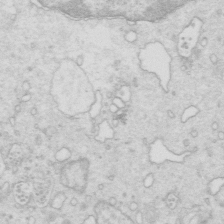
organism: Mouse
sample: Multiciliated cells